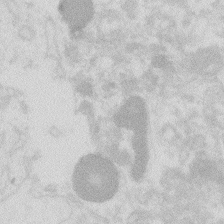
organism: Zebrafish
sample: Macrophage